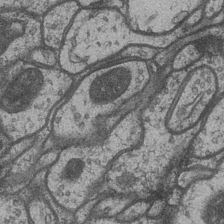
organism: Drosophila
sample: Optic medulla